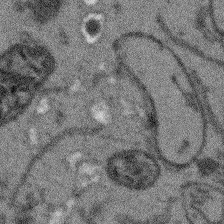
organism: Arabidopsis thaliana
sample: Root tip